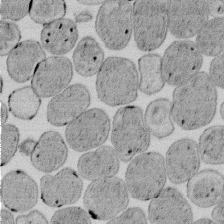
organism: E. coli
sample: Bacterial nucleoid